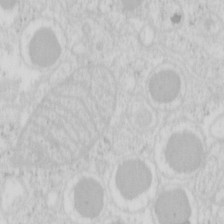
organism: Mouse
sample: Pancreas